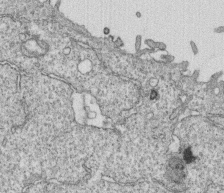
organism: Human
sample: HeLa cell HIV synapse